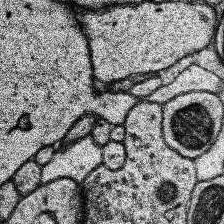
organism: Human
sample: Temporal Lobe